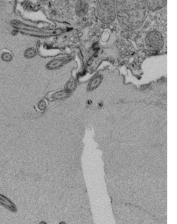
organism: Tetrahymena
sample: Cilia in tetrahymena